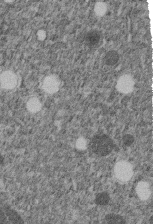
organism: C. elegans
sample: C. elegans embryo early stage